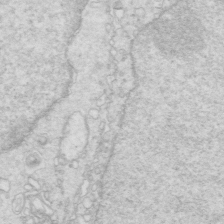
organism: Mouse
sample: Multiciliated cells